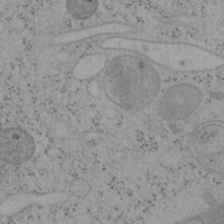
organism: Mouse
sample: OT-I killer T cells with ID8 ovarian cancer cells